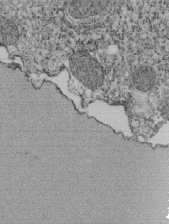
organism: Tetrahymena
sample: Cilia in tetrahymena